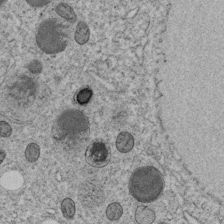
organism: C. elegans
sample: C. elegans embryo early stage